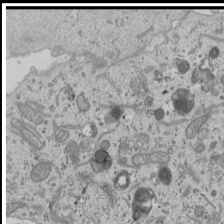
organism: Human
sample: Mitochondria in U2OS cells